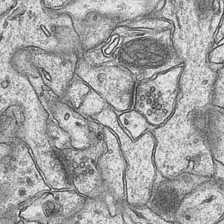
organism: Mouse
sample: CA1 Hippocampus